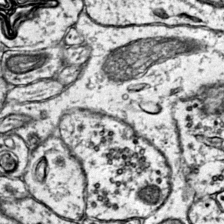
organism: Mouse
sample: Primary visual cortex